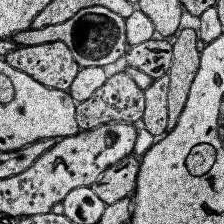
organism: Human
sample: Temporal Lobe